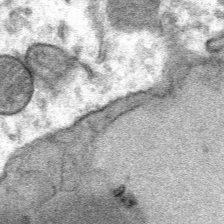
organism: Mouse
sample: Mouse Salivary gland